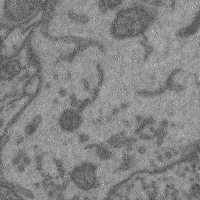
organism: Mouse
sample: Cerebral cortex